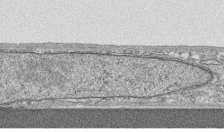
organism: Human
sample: CRL-1474